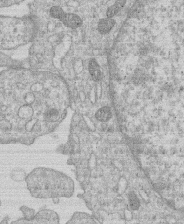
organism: Human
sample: Macrophage cells